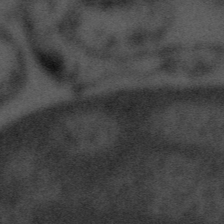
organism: Tuwongella immobilis